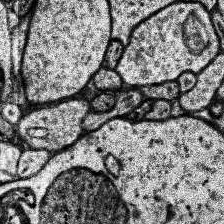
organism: Human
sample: Temporal Lobe